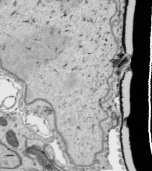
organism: Human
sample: Mitochondria in HCT116 cells